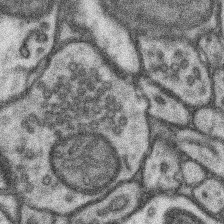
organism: Mouse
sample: Somatosensory cortex neuropil